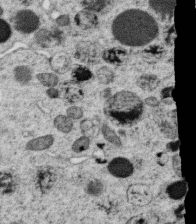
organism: C. elegans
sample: C. elegans oocyte; sperm cells